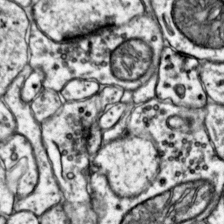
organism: Mouse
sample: Primary visual cortex